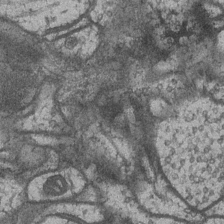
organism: Drosophila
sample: Optic medulla